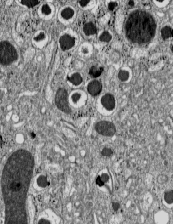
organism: C57BL Mouse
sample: Pancreatic islet